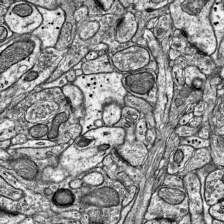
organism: Mouse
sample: Visual Cortex